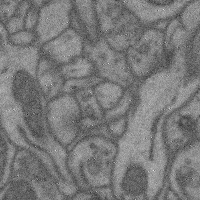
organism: Mouse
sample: Cerebral cortex